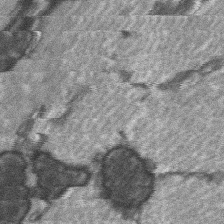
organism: C57BL Mouse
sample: Soleus